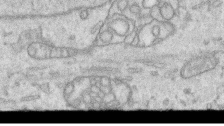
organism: Human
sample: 1205lu cells